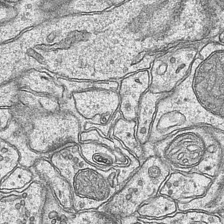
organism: Mouse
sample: CA1 Hippocampus